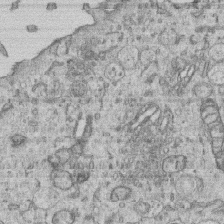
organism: Human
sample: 1205lu cells